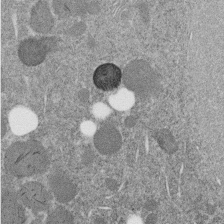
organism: C. elegans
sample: C. elegans embryo early stage